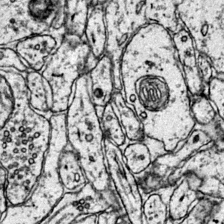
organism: Mouse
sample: Primary visual cortex